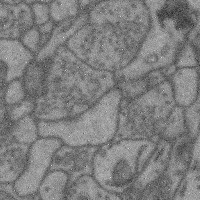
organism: Mouse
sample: Cerebral cortex